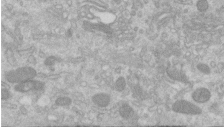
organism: Human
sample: Centriole in RPE cells